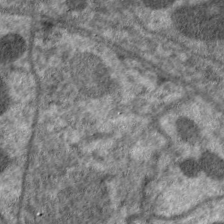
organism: C. elegans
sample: Pharynx